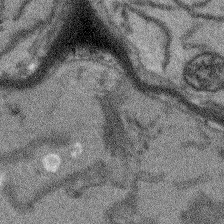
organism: Arabidopsis thaliana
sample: Root tip